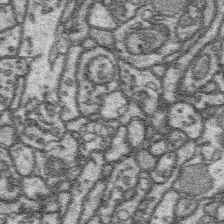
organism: Platynereis dumerilii